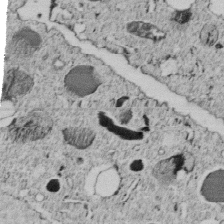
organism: C. elegans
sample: C. elegans embryo early stage